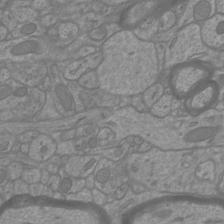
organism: Mouse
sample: Cortical neurons